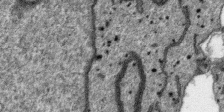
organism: Human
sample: Lung epithelial cells, uninfected (mock) control